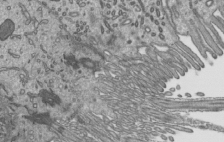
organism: Mouse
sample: Mouse epididymis efferent ductule cilia